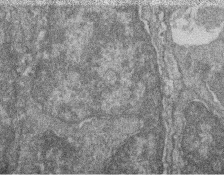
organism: Zebrafish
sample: Cilia; retinal pigment epithelium